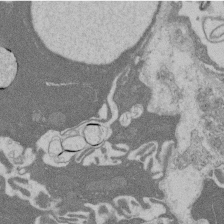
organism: Rat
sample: Salivary granule